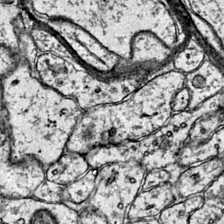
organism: Mouse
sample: Primary visual cortex